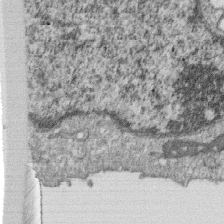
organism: African green monkey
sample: Vero E6 cells infected with SARS-CoV-2